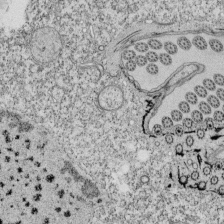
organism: Tetrahymena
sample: Cilia in tetrahymena